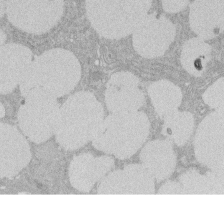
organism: Rat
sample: Salivary granule